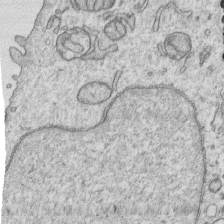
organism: Human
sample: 1205lu cells